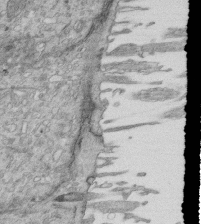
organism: Mouse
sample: Multiciliated cells